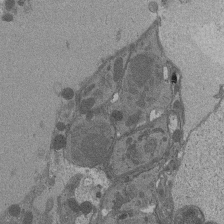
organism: Drosophila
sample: Antenna